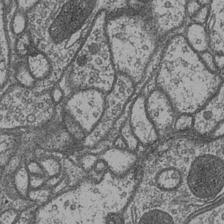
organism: Drosophila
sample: Optic medulla